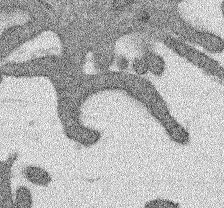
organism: Human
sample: HeLa cells